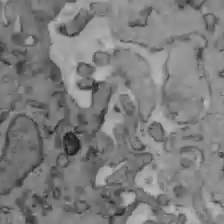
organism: C57BL Mouse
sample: Liver